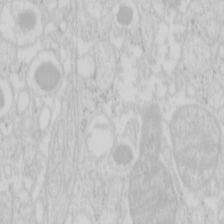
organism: Mouse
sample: Pancreas